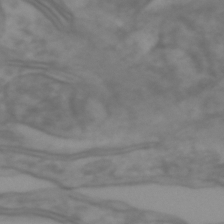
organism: Zebrafish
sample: Zebrafish embryo